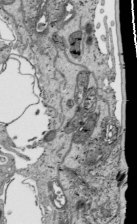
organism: Human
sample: Mitochondria in HCT116 cells